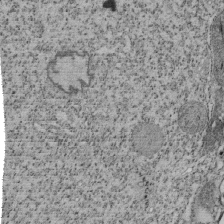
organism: Tetrahymena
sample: Cilia in tetrahymena